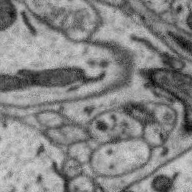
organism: Zebra finch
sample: Brain